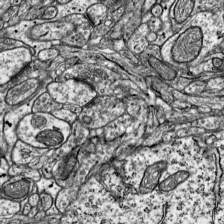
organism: Mouse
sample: Visual Cortex